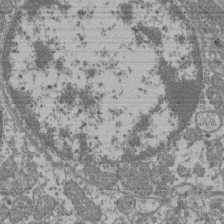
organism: Mouse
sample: Glomerulus